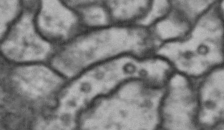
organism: Drosophila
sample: Brain